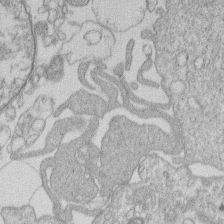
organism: Human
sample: Macrophage cells